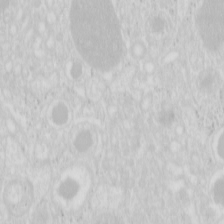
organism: Mouse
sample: Pancreas